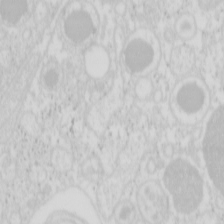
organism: Mouse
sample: Pancreas